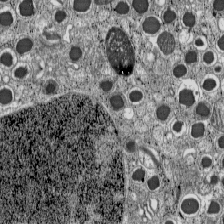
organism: C57BL Mouse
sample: Pancreatic islet